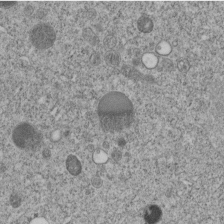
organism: C. elegans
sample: C. elegans embryo early stage